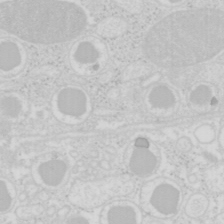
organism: Mouse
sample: Pancreas